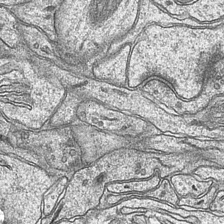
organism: Mouse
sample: CA1 Hippocampus